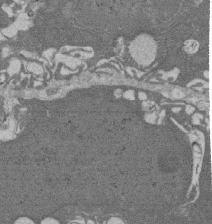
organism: Rat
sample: Salivary granule